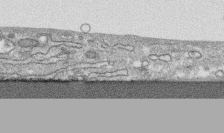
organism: Human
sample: CRL-1474